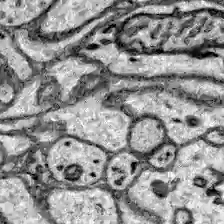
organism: Zebrafish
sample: Brain